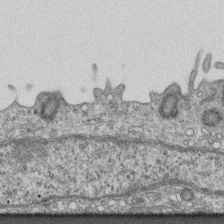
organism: Mouse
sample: Centriole in ependymal cells